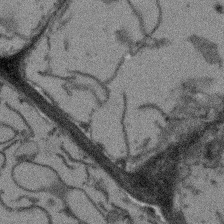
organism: Arabidopsis thaliana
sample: Root tip